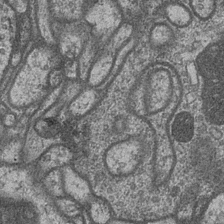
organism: Drosophila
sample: Optic medulla